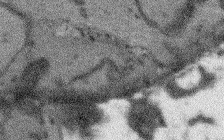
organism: Arabidopsis thaliana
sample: Root tip